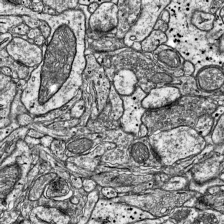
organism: Mouse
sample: Visual Cortex